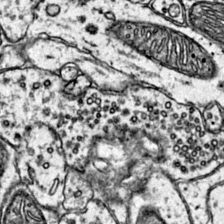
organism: Mouse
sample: Primary visual cortex